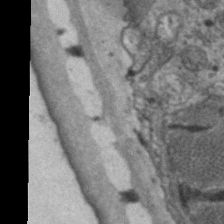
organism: C. elegans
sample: Pharynx